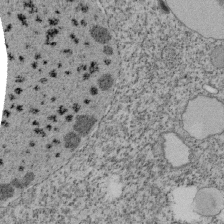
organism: Tetrahymena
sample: Cilia in tetrahymena